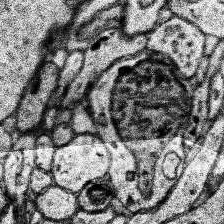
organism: Human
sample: Temporal Lobe